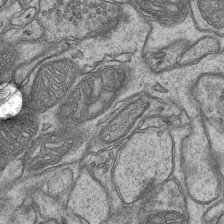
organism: Mouse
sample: CA1 Hippocampus